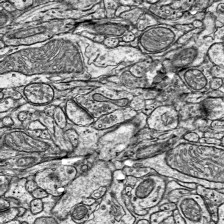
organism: Mouse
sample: Visual Cortex